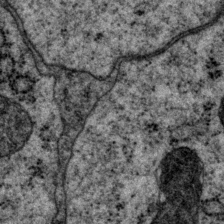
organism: P. pacificus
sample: Pharynx